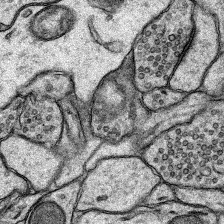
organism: Rat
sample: Hippocampus